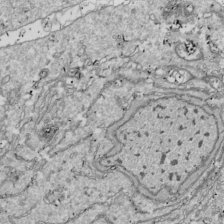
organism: Drosophila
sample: Cell division; meiosis; drosophila spermatocytes